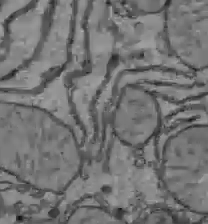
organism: C57BL Mouse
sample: Liver